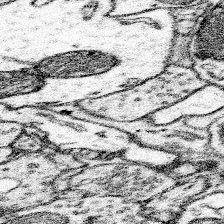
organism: Mouse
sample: Somatosensory cortex neuropil